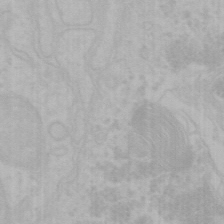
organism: Mouse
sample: Choroid plexus